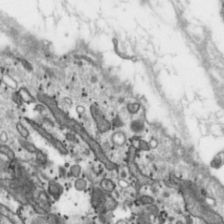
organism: Toxoplasma gondii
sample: Parasites in a vacuole inside a host cell